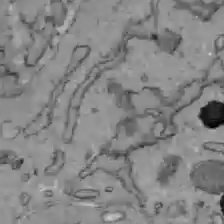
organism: C57BL Mouse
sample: Liver